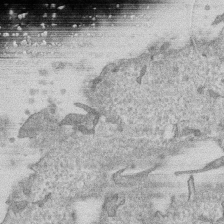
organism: Human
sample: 1205lu cells